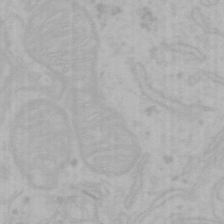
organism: Mouse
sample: Choroid plexus